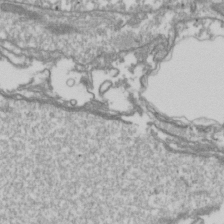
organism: Drosophila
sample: Cell division; meiosis; drosophila spermatocytes